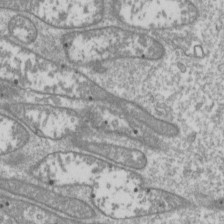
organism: Drosophila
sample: Cell division; meiosis; drosophila spermatocytes